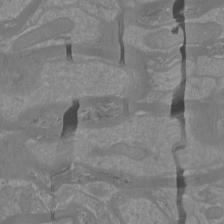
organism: Mouse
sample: Cortical neurons